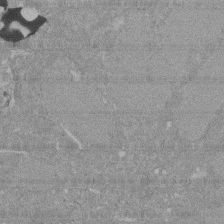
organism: Mouse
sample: ED-1 cell nuclei; centrioles